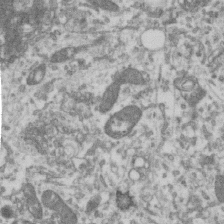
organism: Human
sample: Centriole in RPE cells